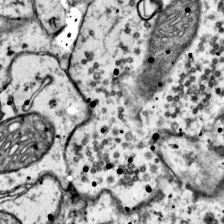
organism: Mouse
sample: Primary visual cortex